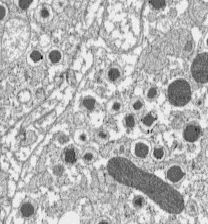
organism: C57BL Mouse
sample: Pancreatic islet